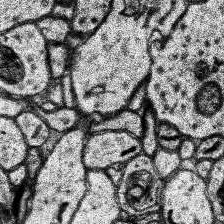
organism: Human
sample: Temporal Lobe